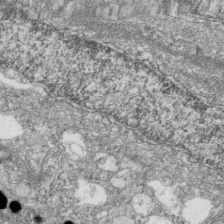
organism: Zebrafish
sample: Cilia; retinal pigment epithelium